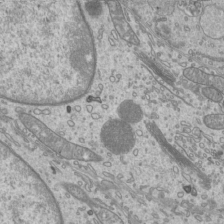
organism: Mouse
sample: Cilia; mouse epididymis